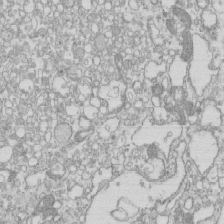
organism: Mouse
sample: Macrophages